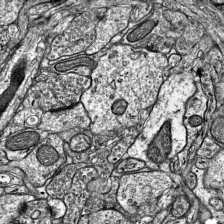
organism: Mouse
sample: Visual Cortex